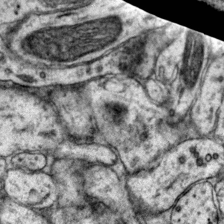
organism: Mouse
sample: Primary visual cortex